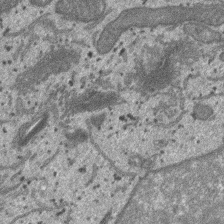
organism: Human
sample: Lung epithelial cells infected with SARS-CoV-2